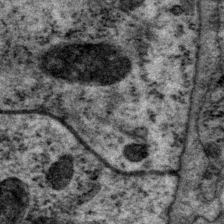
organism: P. pacificus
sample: Pharynx